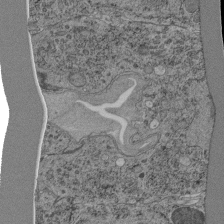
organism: C. elegans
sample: C. elegans pharynx